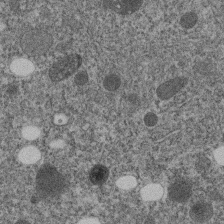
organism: C. elegans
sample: C. elegans embryo early stage